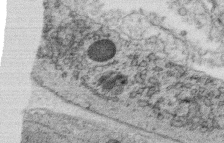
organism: C. elegans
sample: C. elegans oocyte; sperm cells